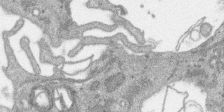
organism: Human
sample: Lung epithelial cells infected with SARS-CoV-2